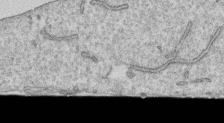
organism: Human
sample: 1205lu cells